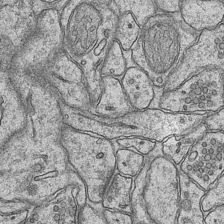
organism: Mouse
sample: CA1 Hippocampus